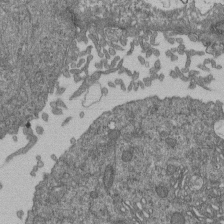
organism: Human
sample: Retinal organoid Rod and Cone cells